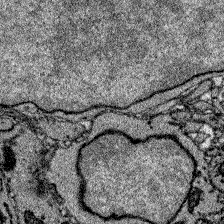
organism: Zebrafish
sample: Larval olfactory bulb